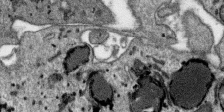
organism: Human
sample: Lung epithelial cells, uninfected (mock) control